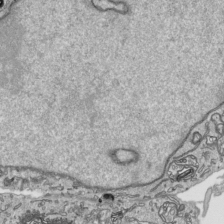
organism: Human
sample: Mitochondria in HCT116 cells